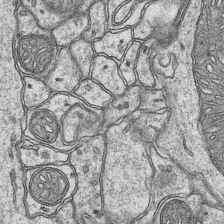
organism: Mouse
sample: CA1 Hippocampus